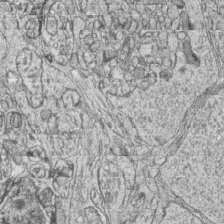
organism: Zebrafish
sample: synaptic ribbons in rod cells and cone cells